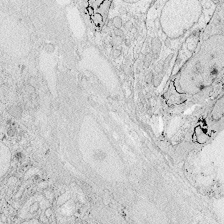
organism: Zebrafish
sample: Whole-Brain